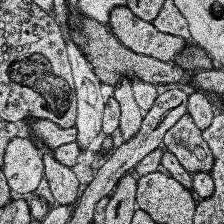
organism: Human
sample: Temporal Lobe